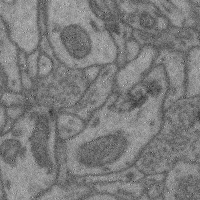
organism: Mouse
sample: Cerebral cortex